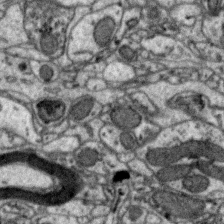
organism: Zebra finch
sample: Brain